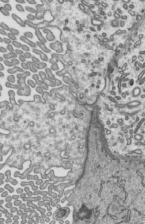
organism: Mouse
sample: Mouse epididymis efferent ductule cilia